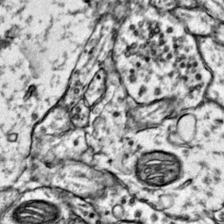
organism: Mouse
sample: Primary visual cortex